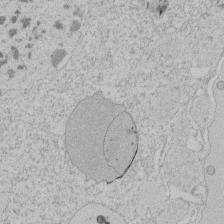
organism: Tetrahymena